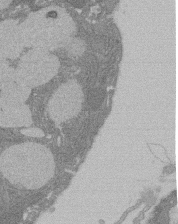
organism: Rat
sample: Salivary granule